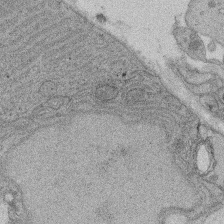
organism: Rat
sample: Salivary granule